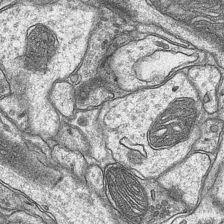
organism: Mouse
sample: CA1 Hippocampus